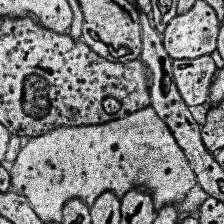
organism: Human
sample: Temporal Lobe